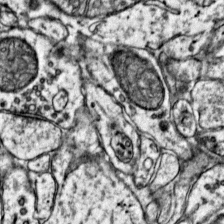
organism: Mouse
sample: Primary visual cortex